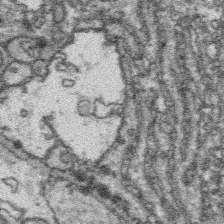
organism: Platynereis dumerilii